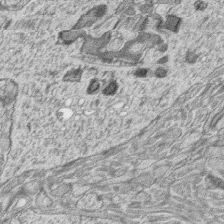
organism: Zebrafish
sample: synaptic ribbons in rod cells and cone cells